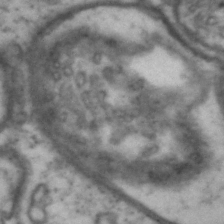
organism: Drosophila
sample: Brain